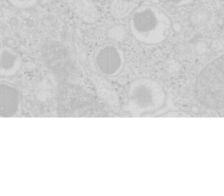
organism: Mouse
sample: Pancreas